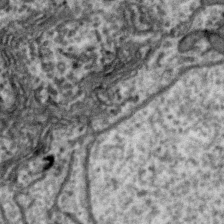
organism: Zebra finch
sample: Brain